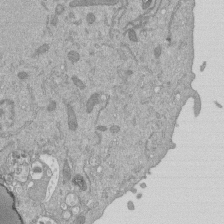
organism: Mouse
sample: ED-1 cell nuclei; centrioles